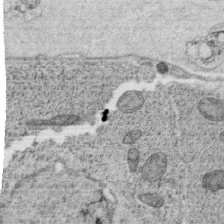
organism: C. elegans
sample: C. elegans oocyte; sperm cells